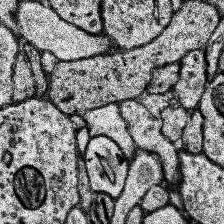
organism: Human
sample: Temporal Lobe